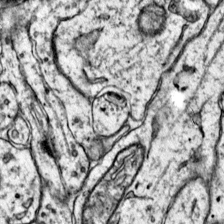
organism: Mouse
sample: Primary visual cortex